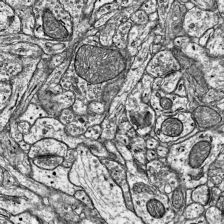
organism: Mouse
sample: Visual Cortex